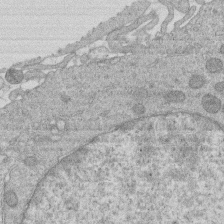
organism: Human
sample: Macrophage cells